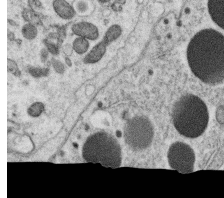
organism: C. elegans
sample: C. elegans oocyte; sperm cells